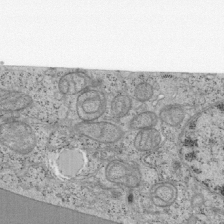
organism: Human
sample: HeLa cells